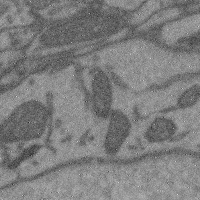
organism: Mouse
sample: Cerebral cortex